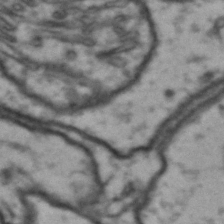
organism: Drosophila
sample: Brain